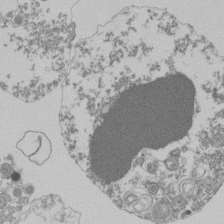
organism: Mouse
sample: Activated Pmel transgenic CD8+ T Cells